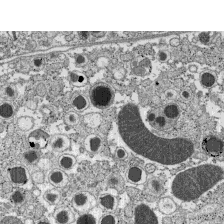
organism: C57BL Mouse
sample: Pancreatic islet